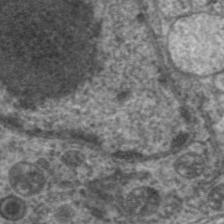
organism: C. elegans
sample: Pharynx